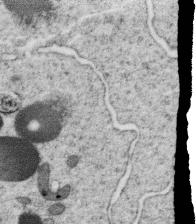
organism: C. elegans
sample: C. elegans oocyte; sperm cells